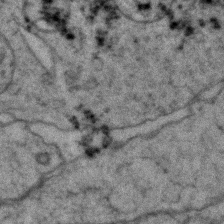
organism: Zebrafish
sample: Zebrafish embryo